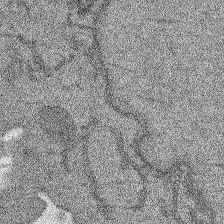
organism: Human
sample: HeLa cells